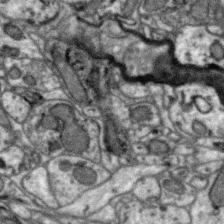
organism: Zebra finch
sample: Brain